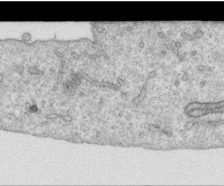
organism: Human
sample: Centriole in RPE cells